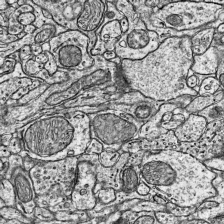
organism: Mouse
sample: Visual Cortex